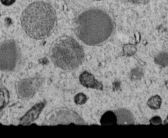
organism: C. elegans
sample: C. elegans embryo early stage